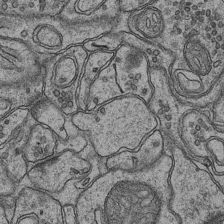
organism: Mouse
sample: CA1 Hippocampus